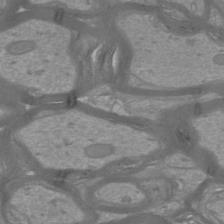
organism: Mouse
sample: Cortical neurons